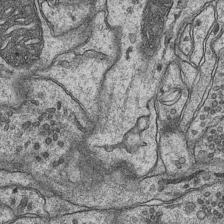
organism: Mouse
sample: CA1 Hippocampus